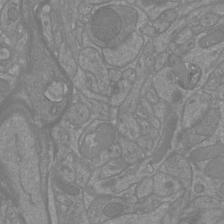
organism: Mouse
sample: Cortical neurons